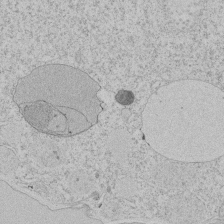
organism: Tetrahymena